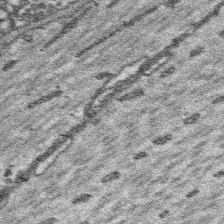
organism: Platynereis dumerilii